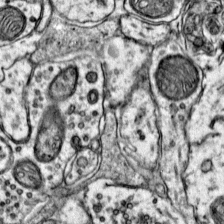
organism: Mouse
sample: Primary visual cortex